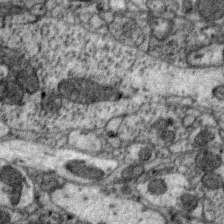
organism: Zebra finch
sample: Brain